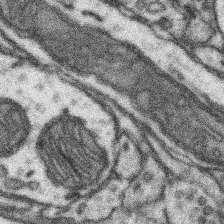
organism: Mouse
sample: Somatosensory cortex neuropil